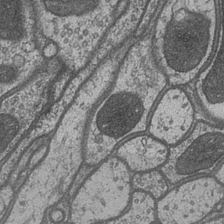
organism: Drosophila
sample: Optic medulla